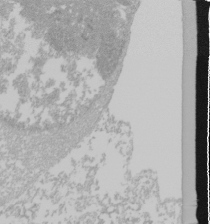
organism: Mouse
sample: Cancer cell death in ED-1 cells